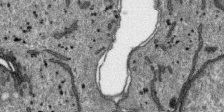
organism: Human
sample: Lung epithelial cells, uninfected (mock) control